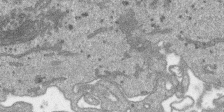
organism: Human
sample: Lung epithelial cells infected with SARS-CoV-2